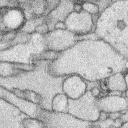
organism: Rabbit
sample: Retina